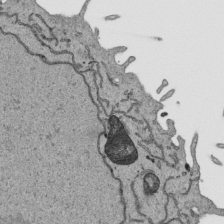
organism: Human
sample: Mitochondria in HCT116 cells